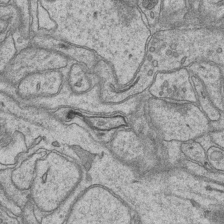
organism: Mouse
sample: CA1 Hippocampus